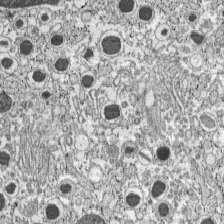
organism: C57BL Mouse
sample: Pancreatic islet